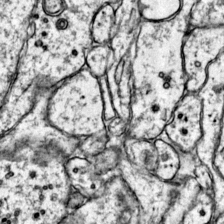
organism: Mouse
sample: Primary visual cortex